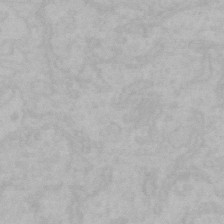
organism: Mouse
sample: Choroid plexus